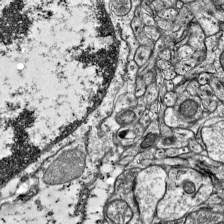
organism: Mouse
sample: Visual Cortex